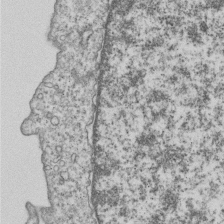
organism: Human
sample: MDA-MB-231 cells